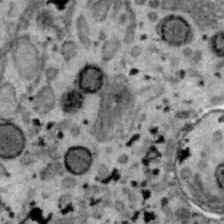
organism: Mouse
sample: Liver from an obese (ob/ob) mouse